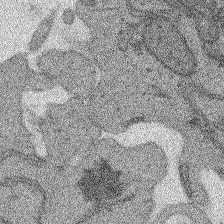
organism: Human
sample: HeLa cells